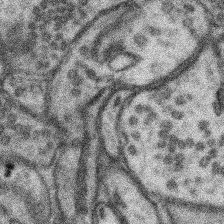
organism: Mouse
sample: Somatosensory cortex neuropil